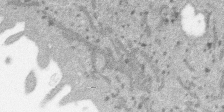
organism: Human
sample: Lung epithelial cells infected with SARS-CoV-2